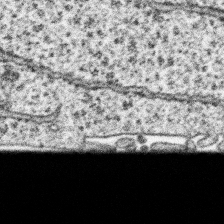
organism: Human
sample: HeLa cells